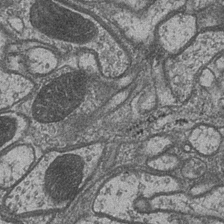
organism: Drosophila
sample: Optic medulla